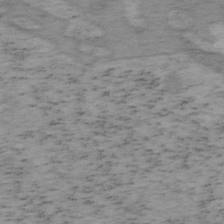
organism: Mouse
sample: OT-I killer T cells with ID8 ovarian cancer cells